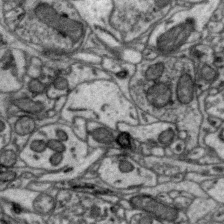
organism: Zebra finch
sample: Brain